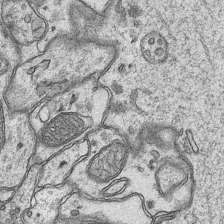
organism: Mouse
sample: CA1 Hippocampus